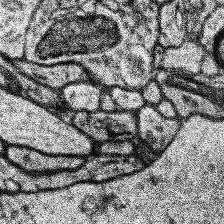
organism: Human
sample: Temporal Lobe